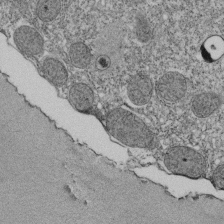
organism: Tetrahymena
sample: Cilia in tetrahymena